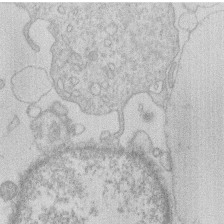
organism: Human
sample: Macrophage cells